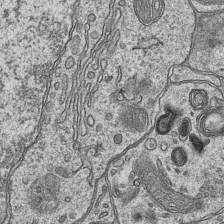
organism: Mouse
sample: CA1 Hippocampus